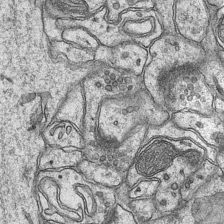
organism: Mouse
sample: CA1 Hippocampus